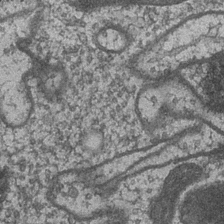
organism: Drosophila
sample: Optic medulla